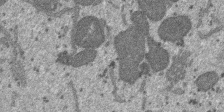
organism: Human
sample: Lung epithelial cells infected with SARS-CoV-2